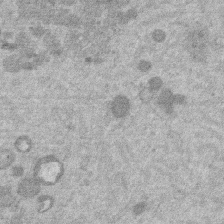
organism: Mouse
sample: Dividing mouse embryo 1 cell stage